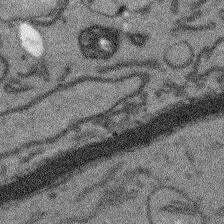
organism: Arabidopsis thaliana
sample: Root tip